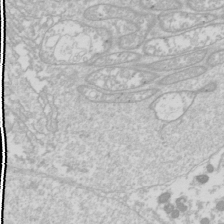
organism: Drosophila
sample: Cell division; meiosis; drosophila spermatocytes